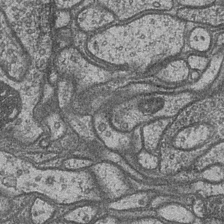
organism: Drosophila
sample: Optic medulla